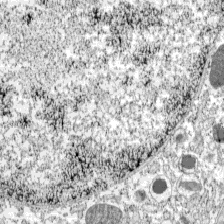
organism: C57BL Mouse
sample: Pancreatic islet